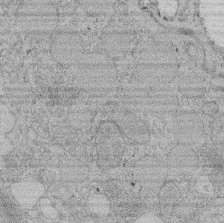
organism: Rat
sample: Salivary granule